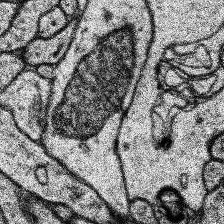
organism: Human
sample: Temporal Lobe